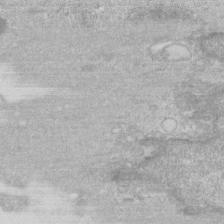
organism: Human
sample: Fibroblast cells